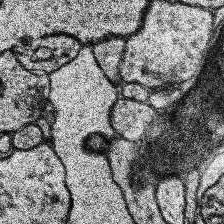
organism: Human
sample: Temporal Lobe